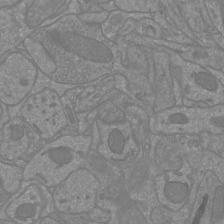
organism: Mouse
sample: Cortical neurons